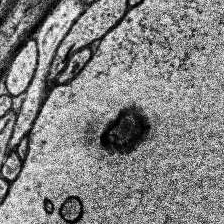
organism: Human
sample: Temporal Lobe